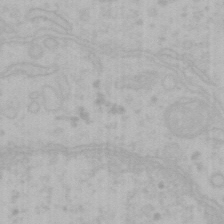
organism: Mouse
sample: Choroid plexus